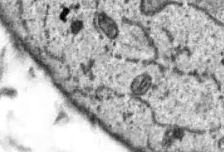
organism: Human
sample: HeLa cells